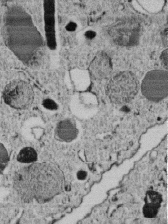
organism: C. elegans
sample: C. elegans embryo early stage